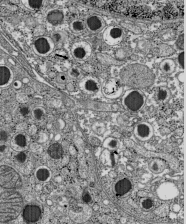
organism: C57BL Mouse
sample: Pancreatic islet